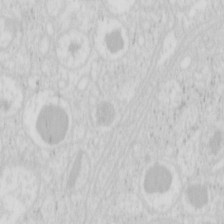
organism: Mouse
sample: Pancreas